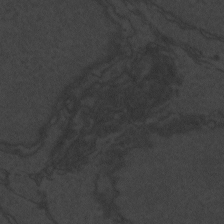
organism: Zebrafish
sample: Macrophage infected with Toxoplasma gondii